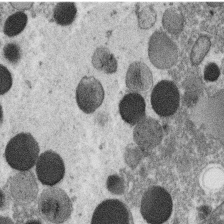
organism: C. elegans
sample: C. elegans oocyte; sperm cells